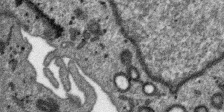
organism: Human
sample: Lung epithelial cells infected with SARS-CoV-2